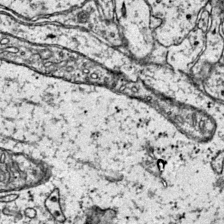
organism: Mouse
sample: Primary visual cortex